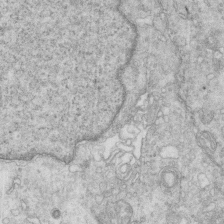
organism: Mouse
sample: Multiciliated cells